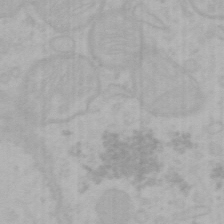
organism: Mouse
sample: Choroid plexus